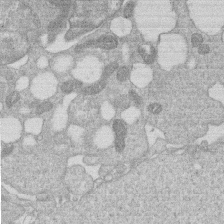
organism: Human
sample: Macrophage cells